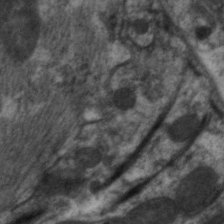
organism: C. elegans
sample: Pharynx